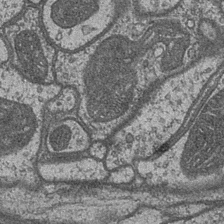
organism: Drosophila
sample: Optic medulla